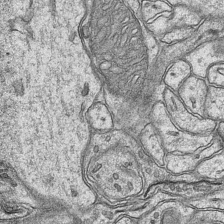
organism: Mouse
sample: CA1 Hippocampus